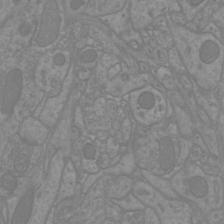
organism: Mouse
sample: Cortical neurons